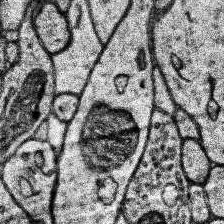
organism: Human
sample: Temporal Lobe